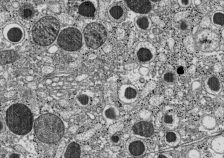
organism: C57BL Mouse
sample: Pancreatic islet